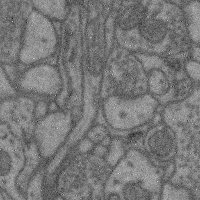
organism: Mouse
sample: Cerebral cortex